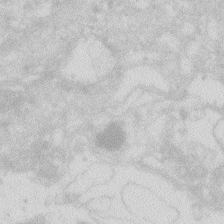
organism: Zebrafish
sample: Macrophage